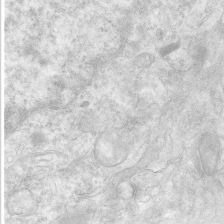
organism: Human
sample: Neocortex